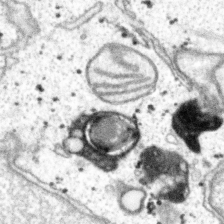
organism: Human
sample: HeLa cells